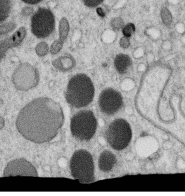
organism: C. elegans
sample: C. elegans oocyte; sperm cells